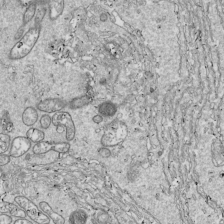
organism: Drosophila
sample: Cell division; meiosis; drosophila spermatocytes